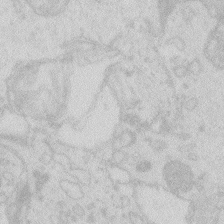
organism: Zebrafish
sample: Macrophage